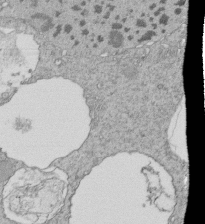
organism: Tetrahymena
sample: Cilia in tetrahymena